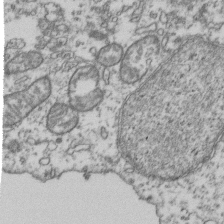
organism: Human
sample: Activated Jurkat CD4+ T cells